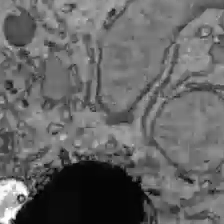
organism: C57BL Mouse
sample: Liver